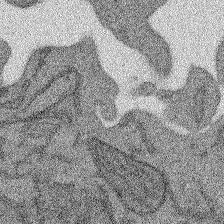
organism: Human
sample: HeLa cells